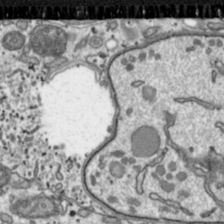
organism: Toxoplasma gondii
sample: Parasites in a vacuole inside a host cell